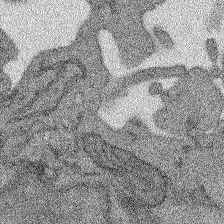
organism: Human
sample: HeLa cells